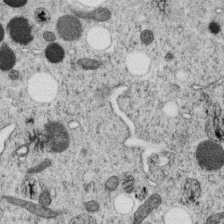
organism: C. elegans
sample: C. elegans oocyte; sperm cells